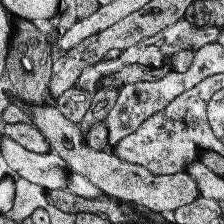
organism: Human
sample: Temporal Lobe